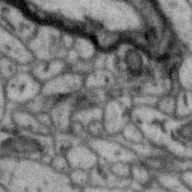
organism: Zebra finch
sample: Brain